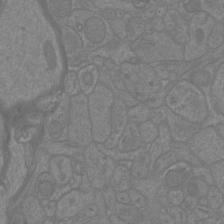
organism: Mouse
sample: Cortical neurons